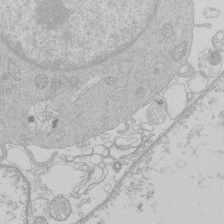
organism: Human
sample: Macrophage cells